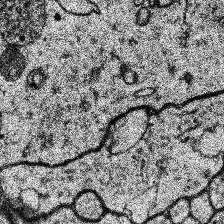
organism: Human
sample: Temporal Lobe